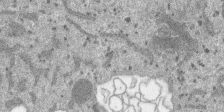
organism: Human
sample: Lung epithelial cells infected with SARS-CoV-2